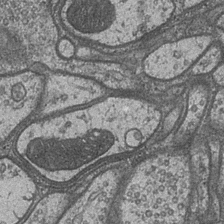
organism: Drosophila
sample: Optic medulla